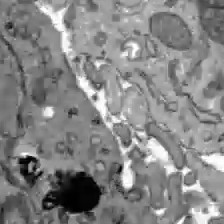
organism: C57BL Mouse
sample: Liver